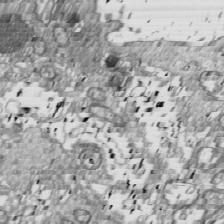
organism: Drosophila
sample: Cell division; meiosis; drosophila spermatocytes